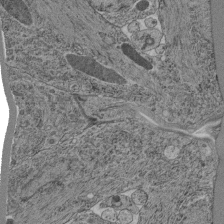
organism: C. elegans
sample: C. elegans pharynx